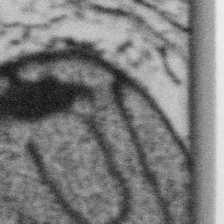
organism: Gemmata obscuriglobus